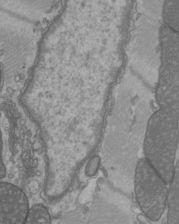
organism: C57BL Mouse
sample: Heart